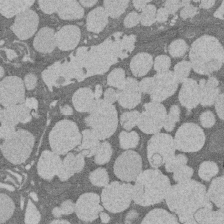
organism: Rat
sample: Salivary granule